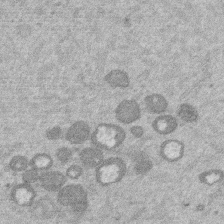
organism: Mouse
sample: Dividing mouse embryo 1 cell stage